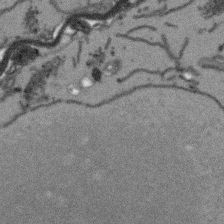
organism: Arabidopsis thaliana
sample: Root tip